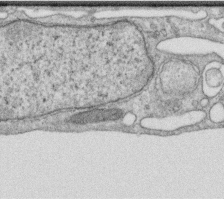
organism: Human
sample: Centriole in RPE cells